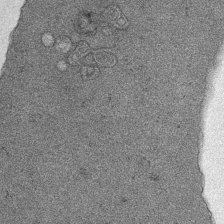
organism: Mouse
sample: CA1 Hippocampus